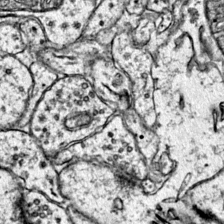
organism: Mouse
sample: Primary visual cortex